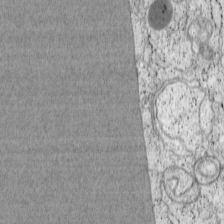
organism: African green monkey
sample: COS-7 cells